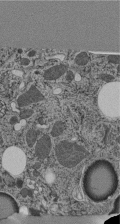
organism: C. elegans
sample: C. elegans pharynx